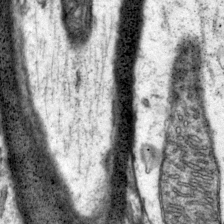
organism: Mouse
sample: Primary visual cortex